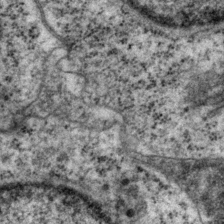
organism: P. pacificus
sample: Pharynx